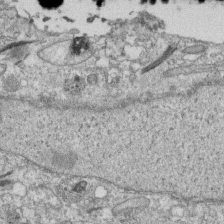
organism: Human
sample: HeLa cell HIV synapse